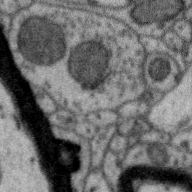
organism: Zebra finch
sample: Brain